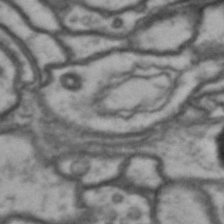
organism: Drosophila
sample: Brain